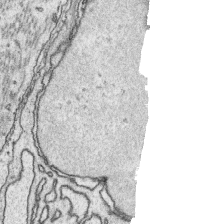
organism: Platynereis dumerilii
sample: Parapodia